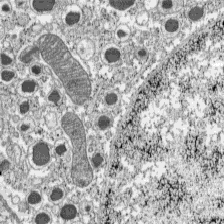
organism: C57BL Mouse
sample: Pancreatic islet